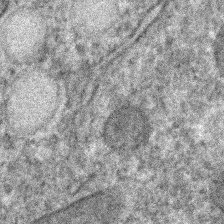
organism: C. elegans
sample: C. elegans embryo